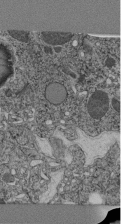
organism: C. elegans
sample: C. elegans pharynx